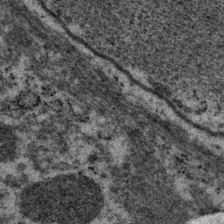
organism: P. pacificus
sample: Pharynx